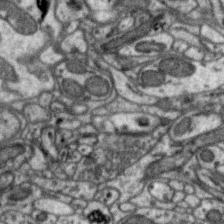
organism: Zebra finch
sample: Brain